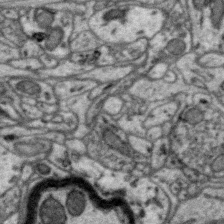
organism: Zebra finch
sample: Brain